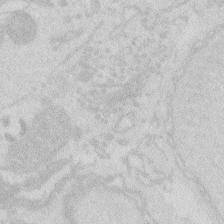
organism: Zebrafish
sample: Macrophage